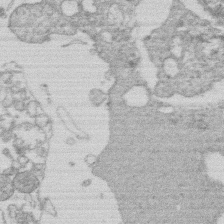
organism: Human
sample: Macrophage cells